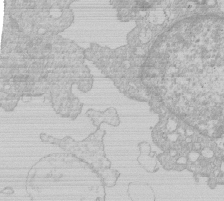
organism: Human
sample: Macrophage cells